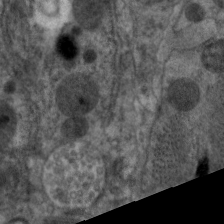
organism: C. elegans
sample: Pharynx